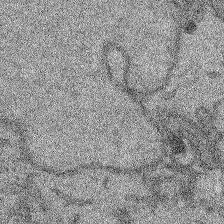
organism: Human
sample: HeLa cells